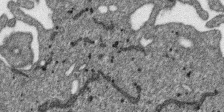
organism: Human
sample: Lung epithelial cells infected with SARS-CoV-2